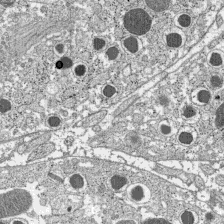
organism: C57BL Mouse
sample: Pancreatic islet